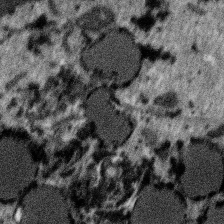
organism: Human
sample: Lung epithelial cells infected with SARS-CoV-2